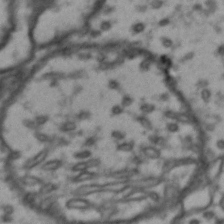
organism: Drosophila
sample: Brain